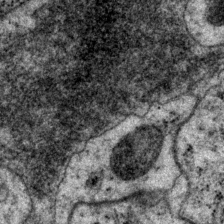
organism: P. pacificus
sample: Pharynx